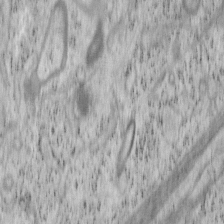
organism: Human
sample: HeLa cells